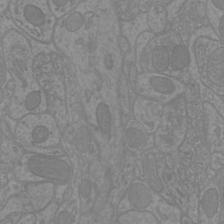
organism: Mouse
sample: Cortical neurons